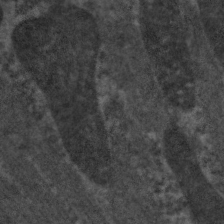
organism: C. elegans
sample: Pharynx